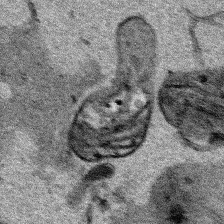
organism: Human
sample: Mitochondria in HCT116 cells